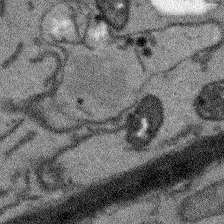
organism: Arabidopsis thaliana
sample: Root tip